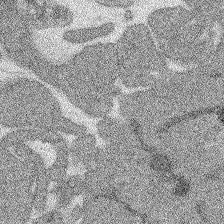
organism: Human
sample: HeLa cells